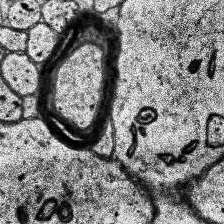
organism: Human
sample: Temporal Lobe